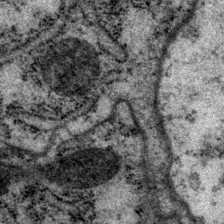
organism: P. pacificus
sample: Pharynx